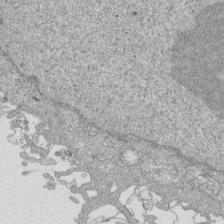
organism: Human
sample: HeLa cell HIV synapse